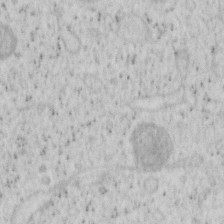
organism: Human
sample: HeLa cells